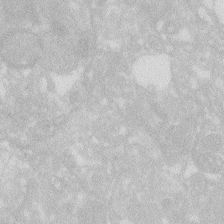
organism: Zebrafish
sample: Macrophage